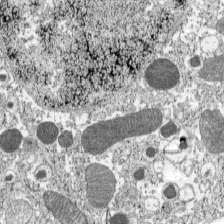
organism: C57BL Mouse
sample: Pancreatic islet